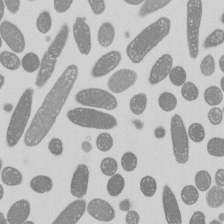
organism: E. coli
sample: Bacterial nucleoid